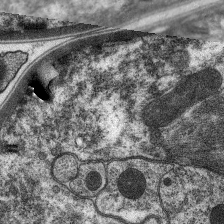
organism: C. elegans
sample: Pharynx